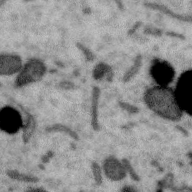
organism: Zebra finch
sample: Brain